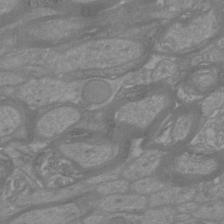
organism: Mouse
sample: Cortical neurons